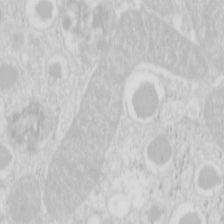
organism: Mouse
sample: Pancreas